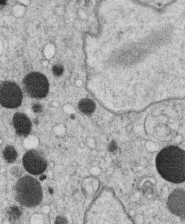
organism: C. elegans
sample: C. elegans oocyte; sperm cells